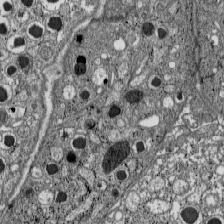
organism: C57BL Mouse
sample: Pancreatic islet